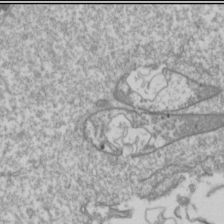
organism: Drosophila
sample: Cell division; meiosis; drosophila spermatocytes